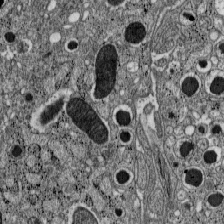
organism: C57BL Mouse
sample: Pancreatic islet